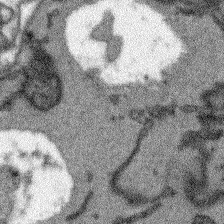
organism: Arabidopsis thaliana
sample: Root tip